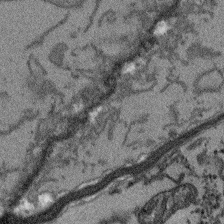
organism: Arabidopsis thaliana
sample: Root tip